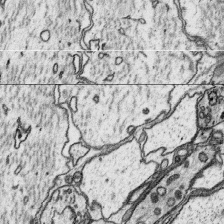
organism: Platynereis dumerilii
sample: Parapodia